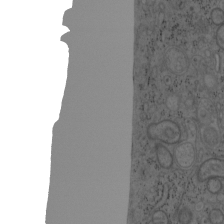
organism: Mouse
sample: OT-I killer T cells with ID8 ovarian cancer cells